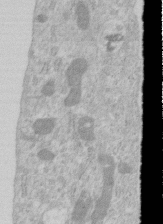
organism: Human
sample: Centriole in RPE cells